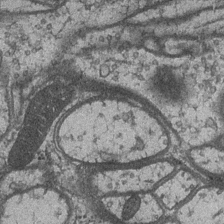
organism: Drosophila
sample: Optic medulla